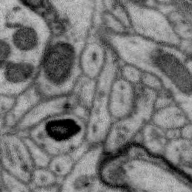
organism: Zebra finch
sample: Brain